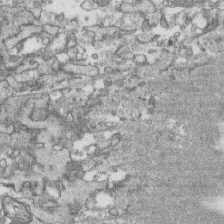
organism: Human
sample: CRL-1474